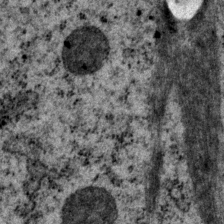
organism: P. pacificus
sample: Pharynx